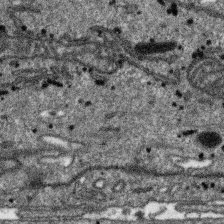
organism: Human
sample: Lung epithelial cells infected with SARS-CoV-2